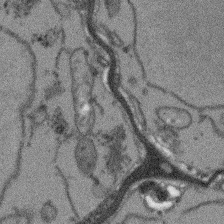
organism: Arabidopsis thaliana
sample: Root tip